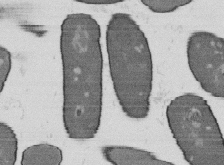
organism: B. subtilis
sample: Bacterial spore